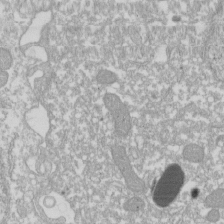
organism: Xenopus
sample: Cilia; centrioles in frog embryo cells